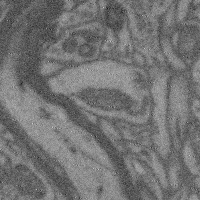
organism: Mouse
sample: Cerebral cortex